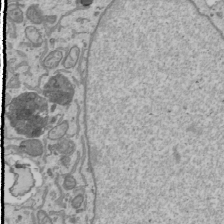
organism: Human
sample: Mitochondria in U2OS cells